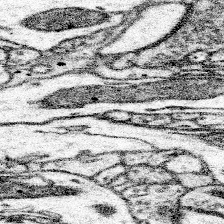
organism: Mouse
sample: Somatosensory cortex neuropil